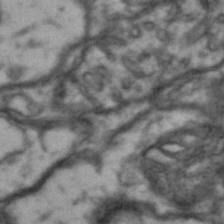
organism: Drosophila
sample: Brain